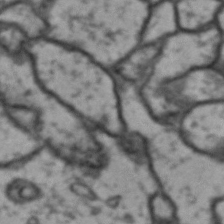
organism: Drosophila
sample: Brain